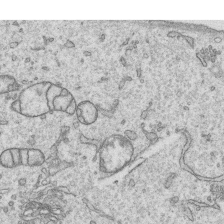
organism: Human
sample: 1205lu cells